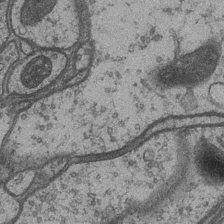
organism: Drosophila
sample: Optic medulla